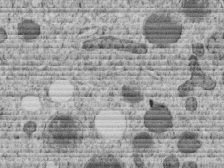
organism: C. elegans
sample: C. elegans embryo early stage